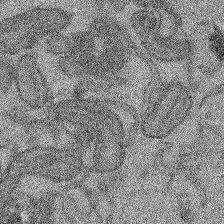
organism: Human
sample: HeLa cells